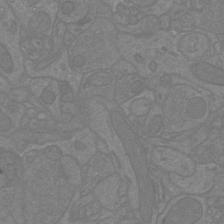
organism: Mouse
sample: Cortical neurons